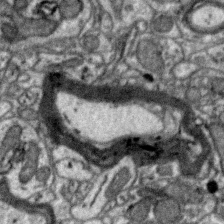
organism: Zebra finch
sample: Brain